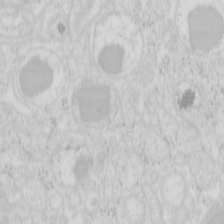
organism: Mouse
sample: Pancreas